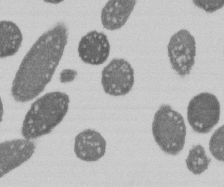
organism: E. coli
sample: Bacterial nucleoid